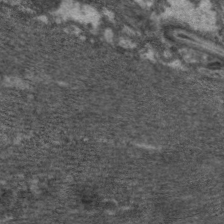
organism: C. elegans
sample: Pharynx